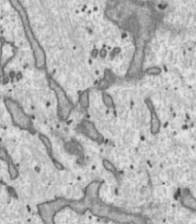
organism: Toxoplasma gondii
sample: Parasites in a vacuole inside a host cell